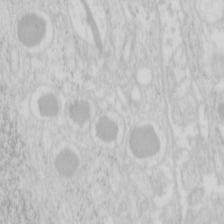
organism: Mouse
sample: Pancreas